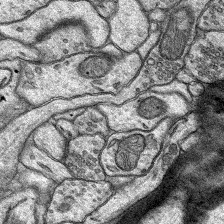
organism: Rat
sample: Hippocampus